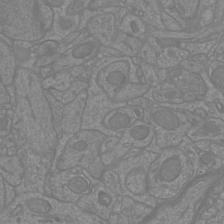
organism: Mouse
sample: Cortical neurons